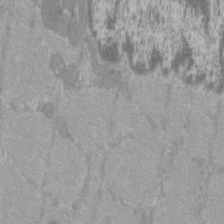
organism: C57BL Mouse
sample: Tibialis anterior muscle cell